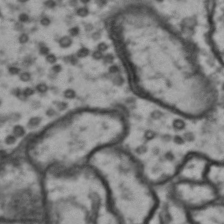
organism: Drosophila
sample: Brain